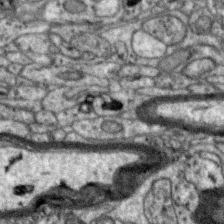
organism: Zebra finch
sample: Brain